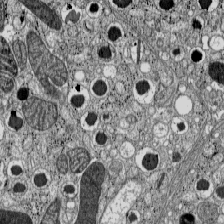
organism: C57BL Mouse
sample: Pancreatic islet